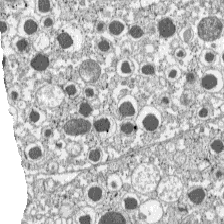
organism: C57BL Mouse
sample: Pancreatic islet